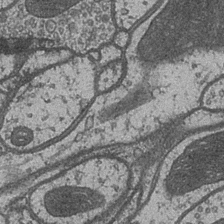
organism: Drosophila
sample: Optic medulla